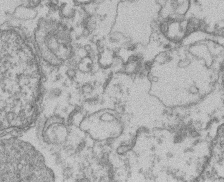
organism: Mouse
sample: T cell stromal cell synapse